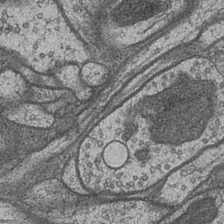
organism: Drosophila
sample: Optic medulla